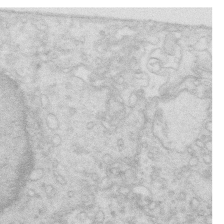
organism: Mouse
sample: Multiciliated cells